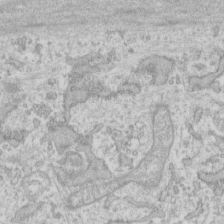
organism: Human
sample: Fibroblast cells